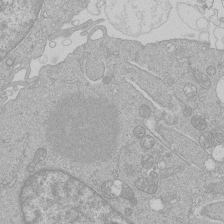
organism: Human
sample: Macrophage cells